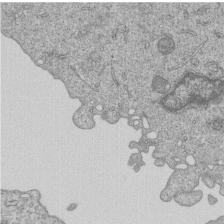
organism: Human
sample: MDA-MB-231 cells